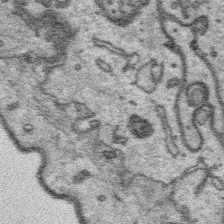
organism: Platynereis dumerilii